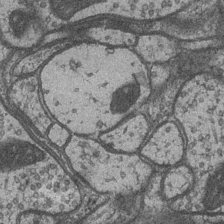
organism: Drosophila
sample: Optic medulla